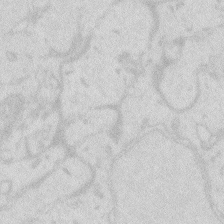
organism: Zebrafish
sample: Macrophage